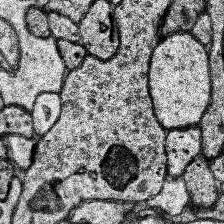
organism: Human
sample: Temporal Lobe